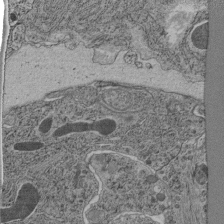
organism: C. elegans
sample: C. elegans pharynx